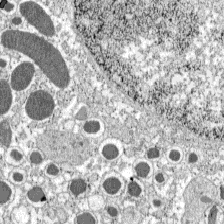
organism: C57BL Mouse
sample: Pancreatic islet